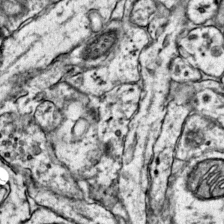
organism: Mouse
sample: Primary visual cortex